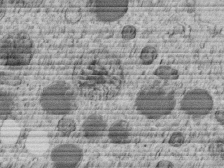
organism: C. elegans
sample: C. elegans embryo early stage